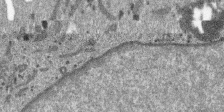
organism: Human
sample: Lung epithelial cells infected with SARS-CoV-2